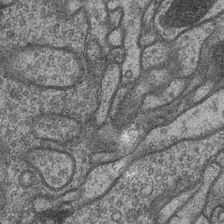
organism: Drosophila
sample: Optic medulla